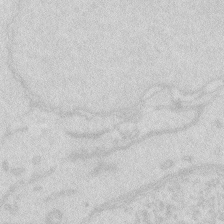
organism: Zebrafish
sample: Macrophage